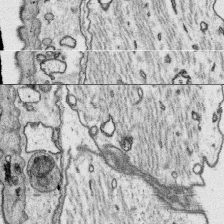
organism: Platynereis dumerilii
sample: Parapodia